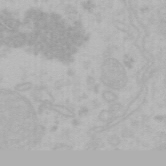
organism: Mouse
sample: Choroid plexus